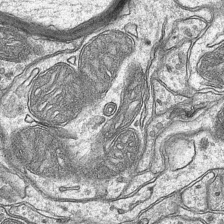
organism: Mouse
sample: CA1 Hippocampus